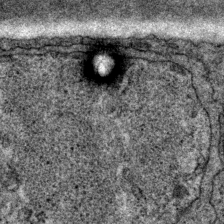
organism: P. pacificus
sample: Pharynx